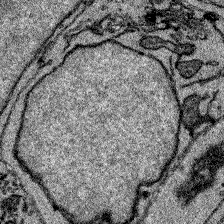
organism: Zebrafish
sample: Larval olfactory bulb